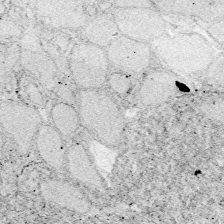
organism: Zebrafish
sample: Whole-Brain